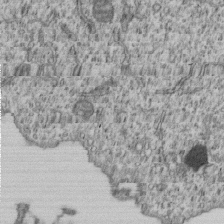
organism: Human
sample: MDA-MB-231 cells